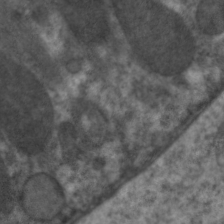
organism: C. elegans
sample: Pharynx